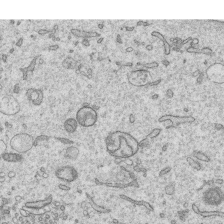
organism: Human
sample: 1205lu cells